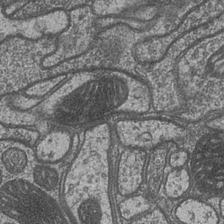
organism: Drosophila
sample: Optic medulla